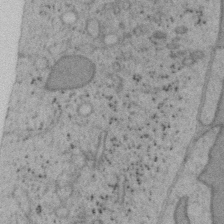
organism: Human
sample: HeLa cells